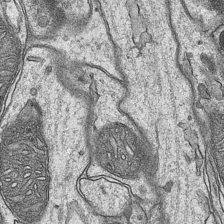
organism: Mouse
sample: CA1 Hippocampus